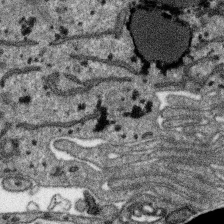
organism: Human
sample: Lung epithelial cells infected with SARS-CoV-2